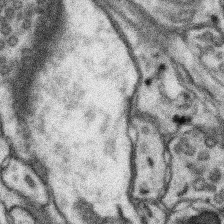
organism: Mouse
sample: Somatosensory cortex neuropil